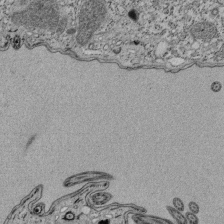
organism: Tetrahymena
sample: Cilia in tetrahymena